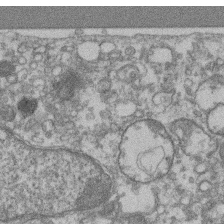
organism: Mouse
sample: T cell stromal cell synapse